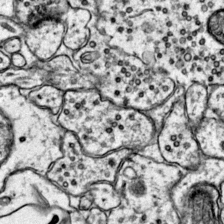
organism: Mouse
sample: Primary visual cortex